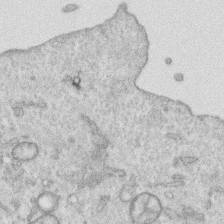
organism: Human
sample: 1205lu cells